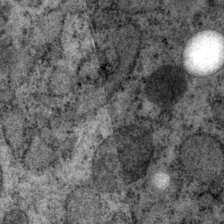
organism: P. pacificus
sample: Pharynx